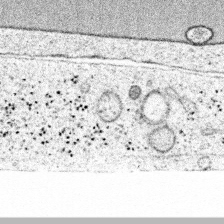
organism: Human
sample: HeLa cells